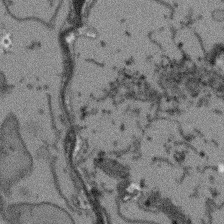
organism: Arabidopsis thaliana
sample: Root tip